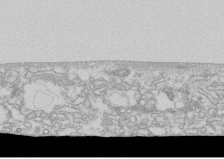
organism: Human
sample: CRL-1474